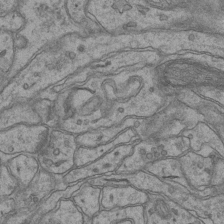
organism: Mouse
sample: CA1 Hippocampus